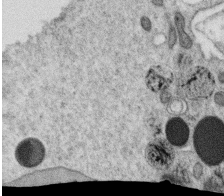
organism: C. elegans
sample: C. elegans oocyte; sperm cells